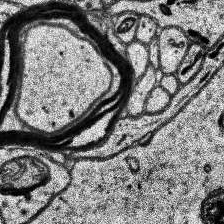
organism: Human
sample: Temporal Lobe